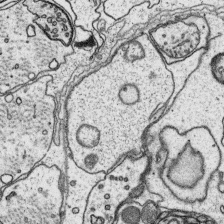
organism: Platynereis dumerilii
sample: Parapodia